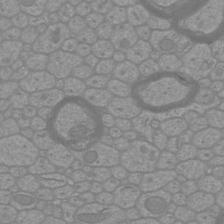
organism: Mouse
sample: Cortical neurons